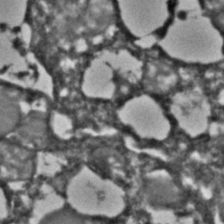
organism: C. elegans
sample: C. elegans embryo